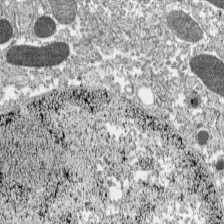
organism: C57BL Mouse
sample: Pancreatic islet